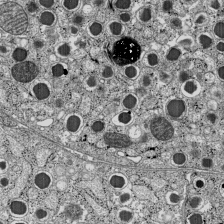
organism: C57BL Mouse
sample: Pancreatic islet